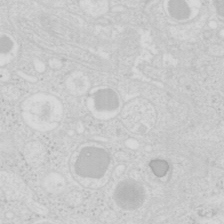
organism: Mouse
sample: Pancreas